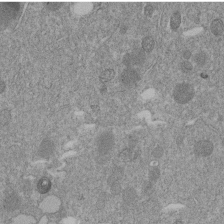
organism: C. elegans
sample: C. elegans embryo early stage